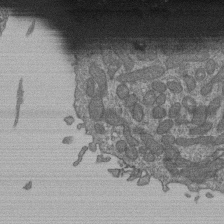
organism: Human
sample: Retinal organoid Rod and Cone cells